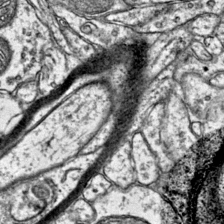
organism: Mouse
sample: Primary visual cortex